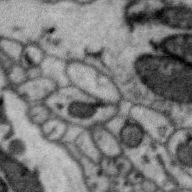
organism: Zebra finch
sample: Brain